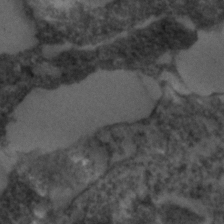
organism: C. elegans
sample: C. elegans embryo